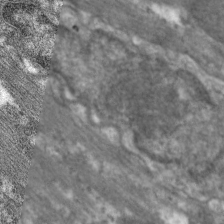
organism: C. elegans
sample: Pharynx